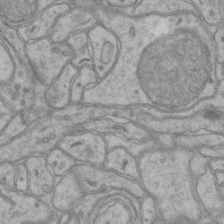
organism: Mouse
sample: CA1 Hippocampus